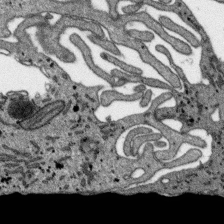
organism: Human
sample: Lung epithelial cells, uninfected (mock) control